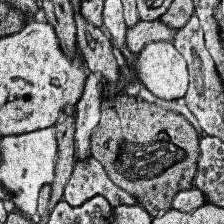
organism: Human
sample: Temporal Lobe